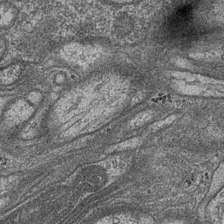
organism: Drosophila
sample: Optic medulla